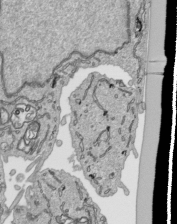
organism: Human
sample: Mitochondria in HCT116 cells